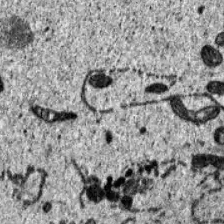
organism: Human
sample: HeLa cells